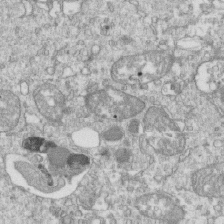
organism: Mouse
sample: Activated OT-1 CD8+ T cells